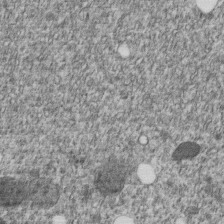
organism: C. elegans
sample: C. elegans embryo early stage